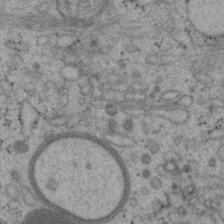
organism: Human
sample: HeLa cells